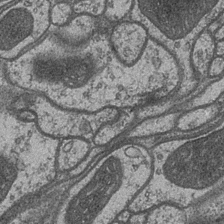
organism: Drosophila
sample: Optic medulla